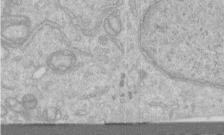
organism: Human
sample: Centriole in RPE cells